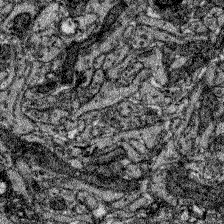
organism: Zebrafish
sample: Larval olfactory bulb